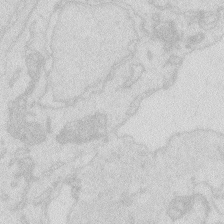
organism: Zebrafish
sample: Macrophage